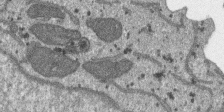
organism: Human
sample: Lung epithelial cells infected with SARS-CoV-2